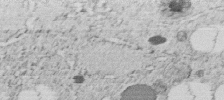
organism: C. elegans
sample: C. elegans embryo early stage